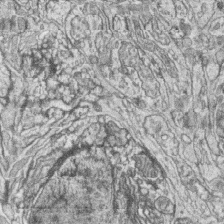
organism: Zebrafish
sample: synaptic ribbons in rod cells and cone cells